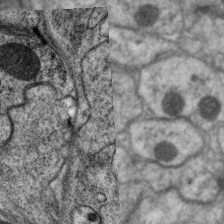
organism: C. elegans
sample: Pharynx